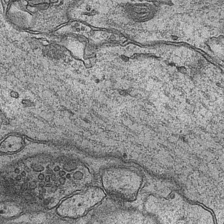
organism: Mouse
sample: CA1 Hippocampus